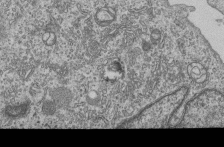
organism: Human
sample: MDA-MB-231 cells